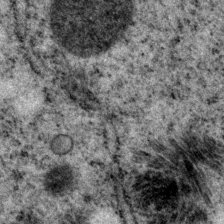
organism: P. pacificus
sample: Pharynx